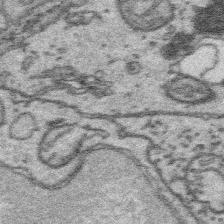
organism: Platynereis dumerilii